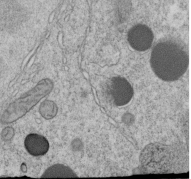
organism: C. elegans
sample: C. elegans embryo early stage